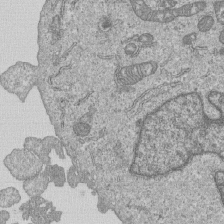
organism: Human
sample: MDA-MB-231 cells